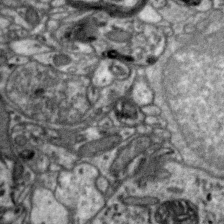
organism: Zebra finch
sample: Brain